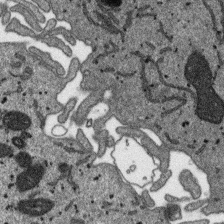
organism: Human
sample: Lung epithelial cells infected with SARS-CoV-2